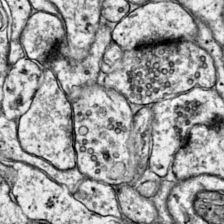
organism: Mouse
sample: Primary visual cortex